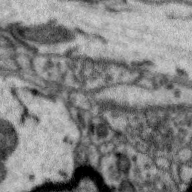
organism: Zebra finch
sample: Brain